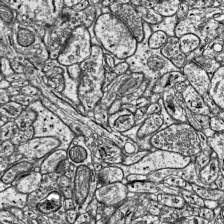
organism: Mouse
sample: Visual Cortex